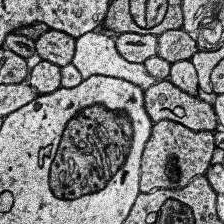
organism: Human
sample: Temporal Lobe